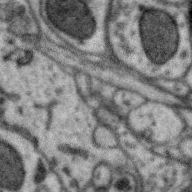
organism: Zebra finch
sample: Brain